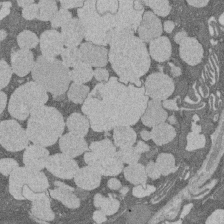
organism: Rat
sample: Salivary granule